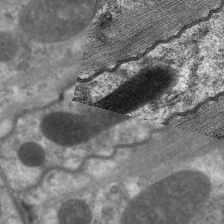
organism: C. elegans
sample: Pharynx